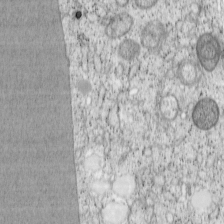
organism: African green monkey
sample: COS-7 cells